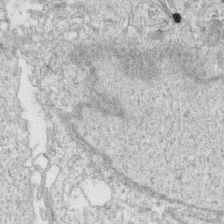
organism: Human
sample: HeLa cell HIV synapse